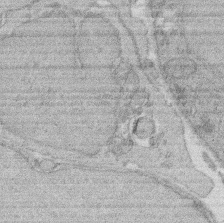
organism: Rat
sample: Salivary granule